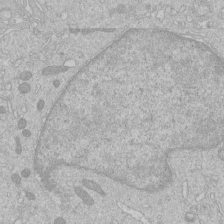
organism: Human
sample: Macrophage cells